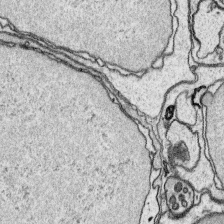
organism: Platynereis dumerilii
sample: Parapodia